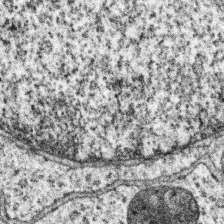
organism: Human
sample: HeLa cells